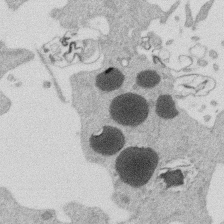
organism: Mouse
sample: Dividing mouse embryo 1 cell stage